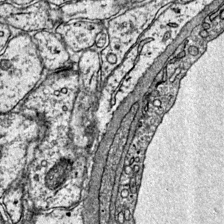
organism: Mouse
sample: Primary visual cortex